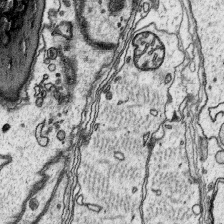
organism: Platynereis dumerilii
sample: Parapodia